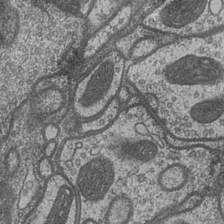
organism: Drosophila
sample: Optic medulla